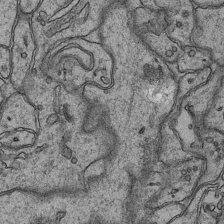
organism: Mouse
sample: CA1 Hippocampus